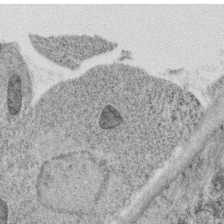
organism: C. elegans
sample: C. elegans oocyte; sperm cells